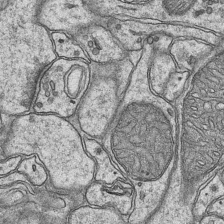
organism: Mouse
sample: CA1 Hippocampus